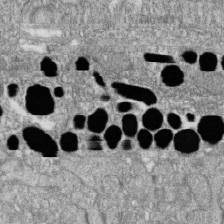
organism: Zebrafish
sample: Cilia; retinal pigment epithelium